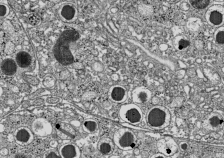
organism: C57BL Mouse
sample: Pancreatic islet